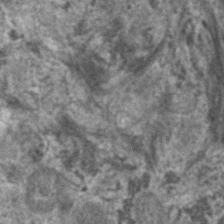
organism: Human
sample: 1205lu cells